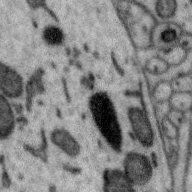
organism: Zebra finch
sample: Brain